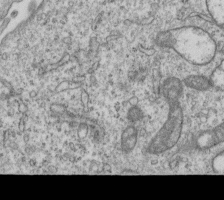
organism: Human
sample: MDA-MB-231 cells